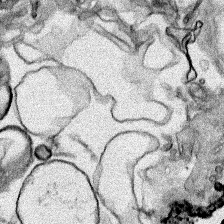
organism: Human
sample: Mitochondria in HCT116 cells